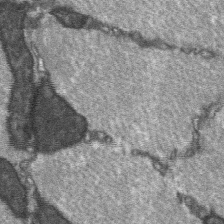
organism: C57BL Mouse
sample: Soleus